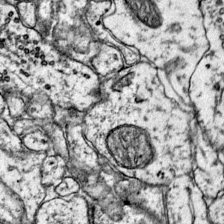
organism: Mouse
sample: Primary visual cortex